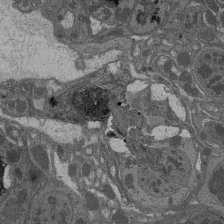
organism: Drosophila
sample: Antenna